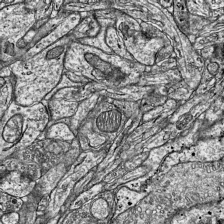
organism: Mouse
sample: Visual Cortex